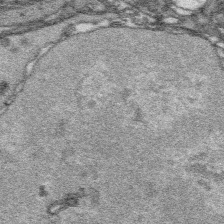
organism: Platynereis dumerilii